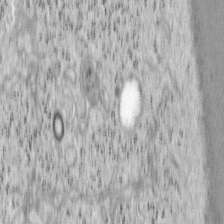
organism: Human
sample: HeLa cells